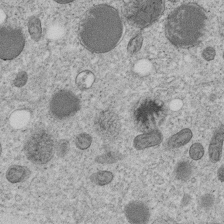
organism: C. elegans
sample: C. elegans embryo early stage